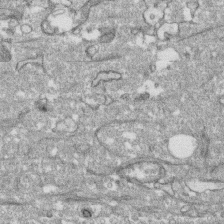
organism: Human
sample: CRL-1474